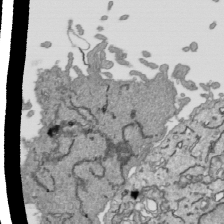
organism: Human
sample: Mitochondria in HCT116 cells